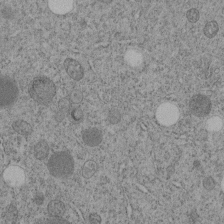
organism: C. elegans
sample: C. elegans embryo early stage